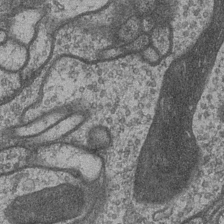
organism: Drosophila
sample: Optic medulla